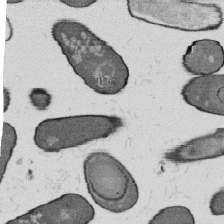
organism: B. subtilis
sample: Bacterial spore